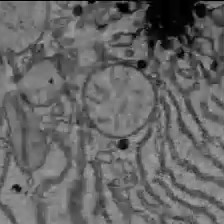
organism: C57BL Mouse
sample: Liver